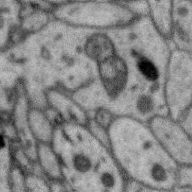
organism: Zebra finch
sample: Brain